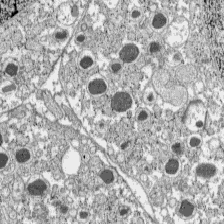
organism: C57BL Mouse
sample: Pancreatic islet